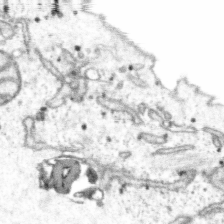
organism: Human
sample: HeLa cells